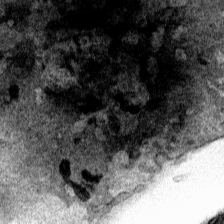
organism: Human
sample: Mitochondria in HCT116 cells